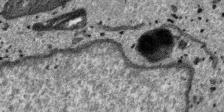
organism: Human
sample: Lung epithelial cells, uninfected (mock) control